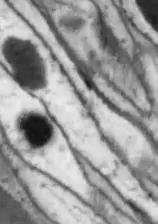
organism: Drosophila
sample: Optic lobe